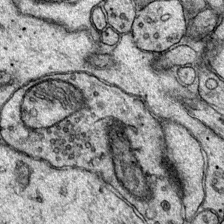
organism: Mouse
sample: Primary visual cortex